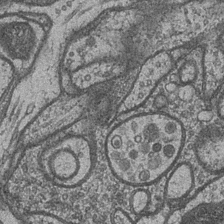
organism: Drosophila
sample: Optic medulla